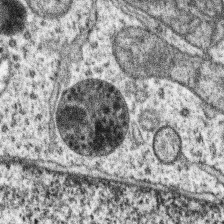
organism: Human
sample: HeLa cells